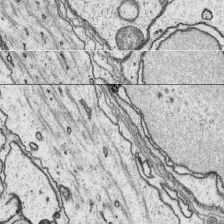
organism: Platynereis dumerilii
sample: Parapodia